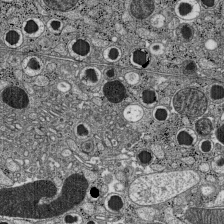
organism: C57BL Mouse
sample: Pancreatic islet